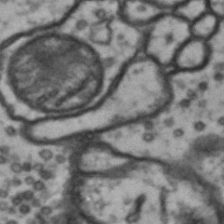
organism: Drosophila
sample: Brain